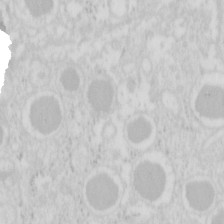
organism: Mouse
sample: Pancreas